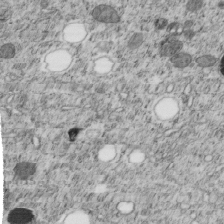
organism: C. elegans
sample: C. elegans embryo early stage